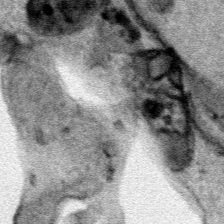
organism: Human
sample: Mitochondria in HCT116 cells